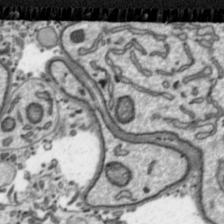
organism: Toxoplasma gondii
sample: Parasites in a vacuole inside a host cell